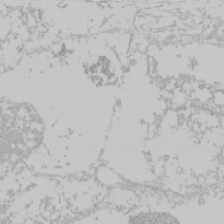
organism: Mouse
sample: Cancer cell death in ED-1 cells